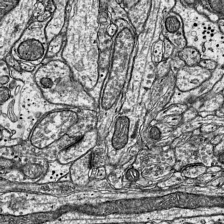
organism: Mouse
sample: Visual Cortex